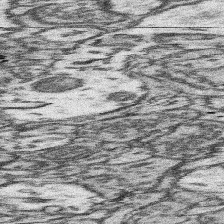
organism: Mouse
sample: Somatosensory cortex neuropil